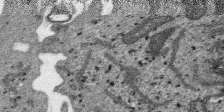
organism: Human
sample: Lung epithelial cells infected with SARS-CoV-2